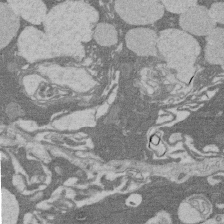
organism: Rat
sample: Salivary granule